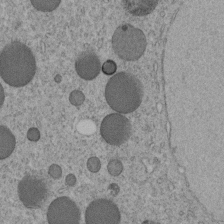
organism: C. elegans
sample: C. elegans embryo early stage